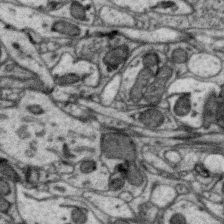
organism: Zebra finch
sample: Brain